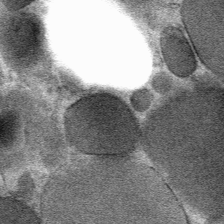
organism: Mouse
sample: Mouse Salivary gland